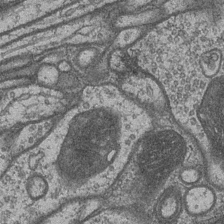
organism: Drosophila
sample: Optic medulla